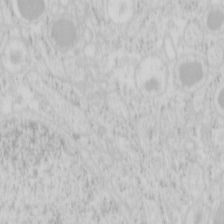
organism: Mouse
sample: Pancreas